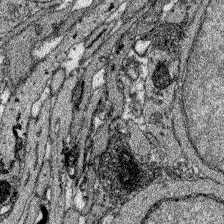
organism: Zebrafish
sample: Larval olfactory bulb